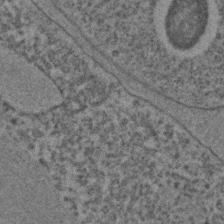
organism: C. elegans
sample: C. elegans embryo